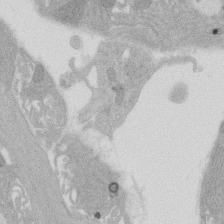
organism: Rat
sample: Salivary granule